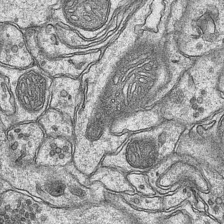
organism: Mouse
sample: CA1 Hippocampus